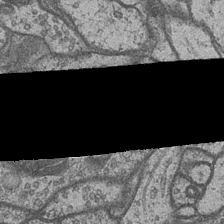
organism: Drosophila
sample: Optic medulla